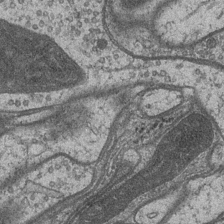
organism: Drosophila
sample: Optic medulla